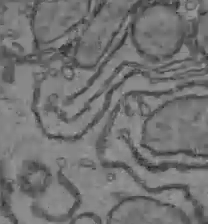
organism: C57BL Mouse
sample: Liver